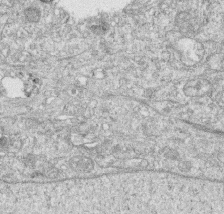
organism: Human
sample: HeLa cell HIV synapse